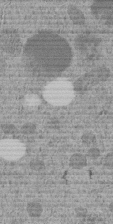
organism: C. elegans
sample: C. elegans embryo early stage